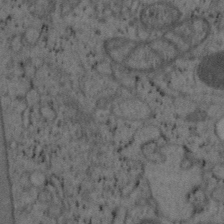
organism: Human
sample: HeLa cells